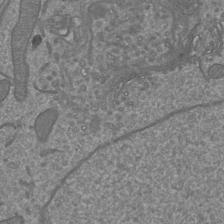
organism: Mouse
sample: Cortical neurons